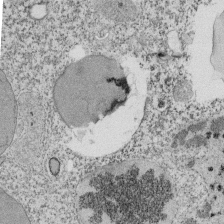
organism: Tetrahymena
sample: Cilia in tetrahymena